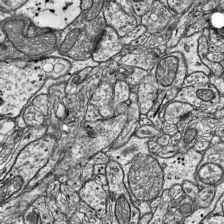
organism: Mouse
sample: Visual Cortex